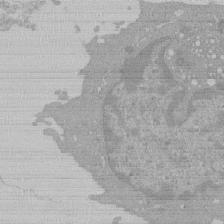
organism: Mouse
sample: Activated Pmel transgenic CD8+ T Cells